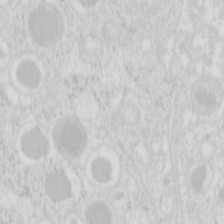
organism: Mouse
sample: Pancreas